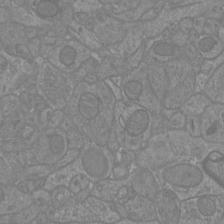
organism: Mouse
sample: Cortical neurons